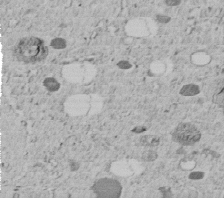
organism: C. elegans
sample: C. elegans embryo early stage